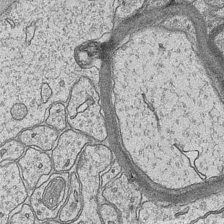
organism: Mouse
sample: CA1 Hippocampus